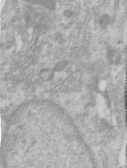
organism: Human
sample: Centriole in RPE cells